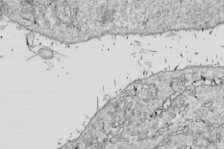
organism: Drosophila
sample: Cell division; meiosis; drosophila spermatocytes